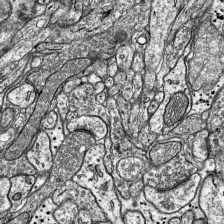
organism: Mouse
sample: Visual Cortex